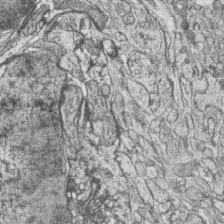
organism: Zebrafish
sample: synaptic ribbons in rod cells and cone cells